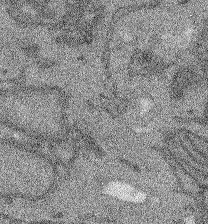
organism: Human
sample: HeLa cells